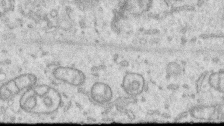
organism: Human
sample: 1205lu cells